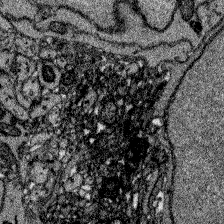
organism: Zebrafish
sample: Larval olfactory bulb